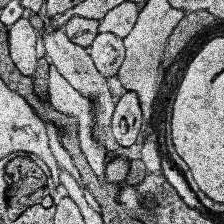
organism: Human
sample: Temporal Lobe